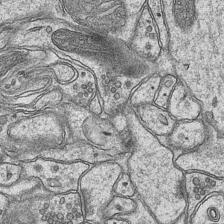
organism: Mouse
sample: CA1 Hippocampus